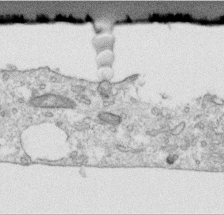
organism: Human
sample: Centriole in RPE cells